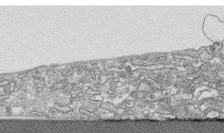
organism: Human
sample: CRL-1474